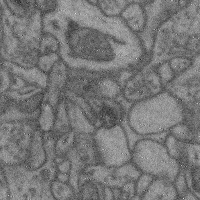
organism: Mouse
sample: Cerebral cortex